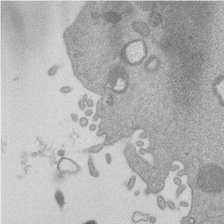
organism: Mouse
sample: Dividing mouse embryo 1 cell stage